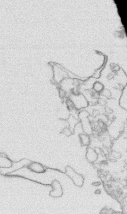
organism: Human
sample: HeLa cell HIV synapse